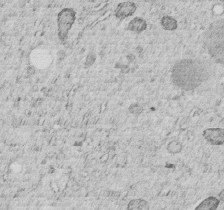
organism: C. elegans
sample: C. elegans embryo early stage